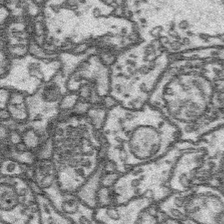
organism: Platynereis dumerilii